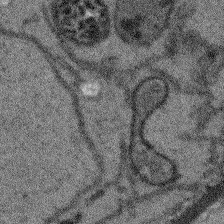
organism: Arabidopsis thaliana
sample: Root tip